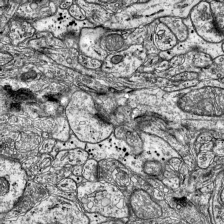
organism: Mouse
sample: Visual Cortex